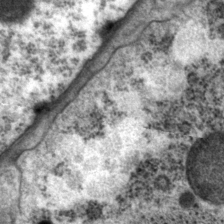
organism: P. pacificus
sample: Pharynx